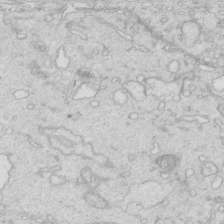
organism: Mouse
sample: Multiciliated cells